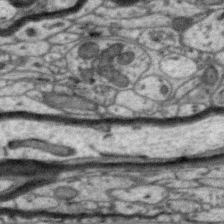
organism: Zebra finch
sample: Brain